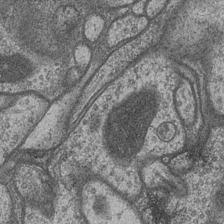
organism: Drosophila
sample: Optic medulla